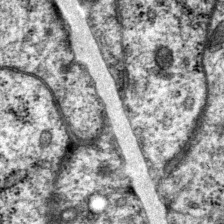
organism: P. pacificus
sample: Pharynx